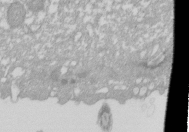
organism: Xenopus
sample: Cilia; centrioles in frog embryo cells